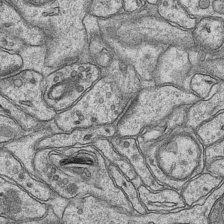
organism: Mouse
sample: CA1 Hippocampus